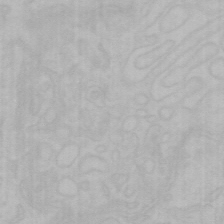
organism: Mouse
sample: Choroid plexus